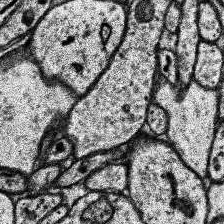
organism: Human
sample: Temporal Lobe